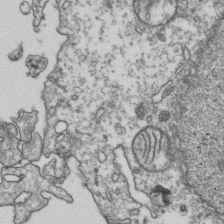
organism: Human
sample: Activated Jurkat CD4+ T cells